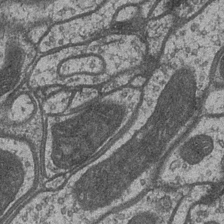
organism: Drosophila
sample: Optic medulla